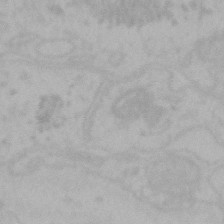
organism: Mouse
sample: Choroid plexus